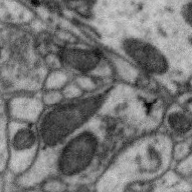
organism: Zebra finch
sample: Brain